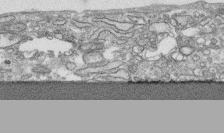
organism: Human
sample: CRL-1474